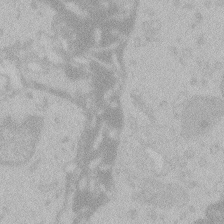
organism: Zebrafish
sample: Macrophage infected with Toxoplasma gondii